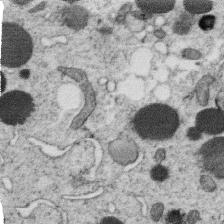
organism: C. elegans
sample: C. elegans oocyte; sperm cells